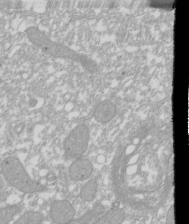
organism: Xenopus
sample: Cilia; centrioles in frog embryo cells